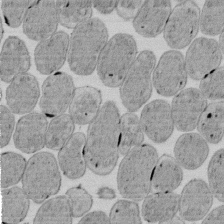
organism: E. coli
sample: Bacterial nucleoid